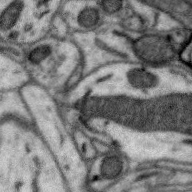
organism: Zebra finch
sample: Brain